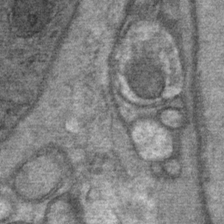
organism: Mouse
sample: Mouse Salivary gland